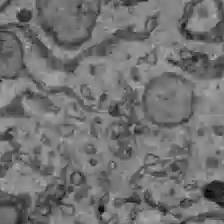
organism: C57BL Mouse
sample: Liver